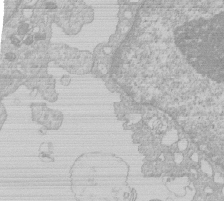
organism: Human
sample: Macrophage cells